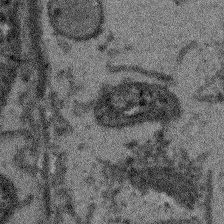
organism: Arabidopsis thaliana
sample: Root tip